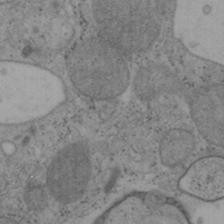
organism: Mouse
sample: OT-I killer T cells with ID8 ovarian cancer cells